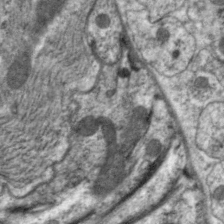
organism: C. elegans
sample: Pharynx